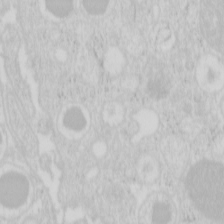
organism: Mouse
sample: Pancreas